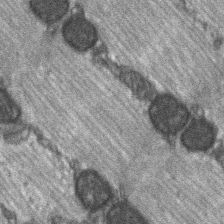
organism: C57BL Mouse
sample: Soleus